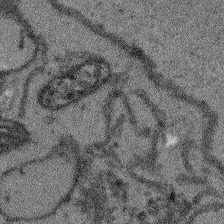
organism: Arabidopsis thaliana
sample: Root tip